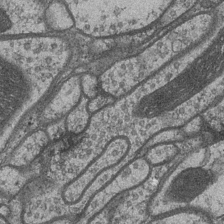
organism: Drosophila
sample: Optic medulla